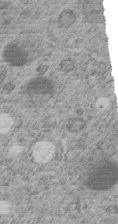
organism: C. elegans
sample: C. elegans embryo early stage